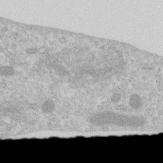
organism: Human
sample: Centriole in RPE cells